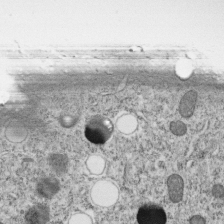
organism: C. elegans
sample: C. elegans embryo early stage